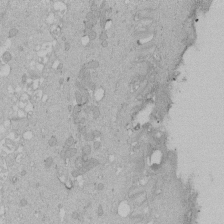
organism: Human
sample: Melanocyte Keratinocyte synapse skin construct